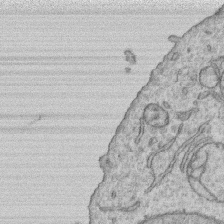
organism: Human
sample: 1205lu cells